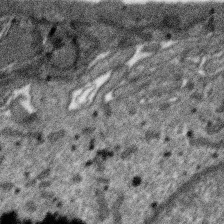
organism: Human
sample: Lung epithelial cells infected with SARS-CoV-2